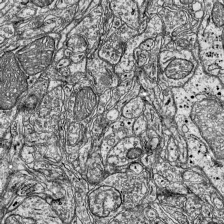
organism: Mouse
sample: Visual Cortex